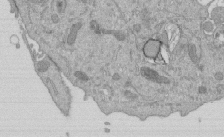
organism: Mouse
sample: ED-1 cell nuclei; centrioles